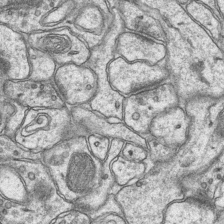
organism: Mouse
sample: CA1 Hippocampus